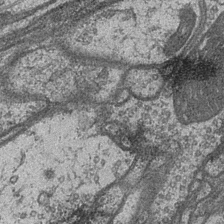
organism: Drosophila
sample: Optic medulla